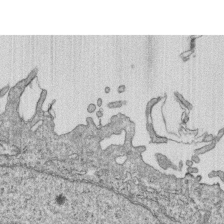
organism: Human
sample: HeLa cell HIV synapse